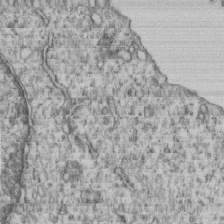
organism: Human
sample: MDA-MB-231 cells